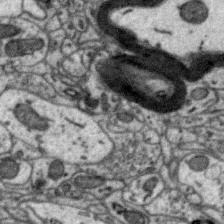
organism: Zebra finch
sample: Brain